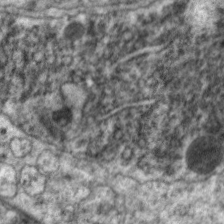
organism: C. elegans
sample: Pharynx